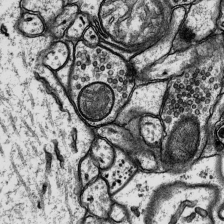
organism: Rat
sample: Hippocampus